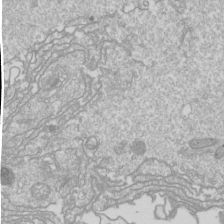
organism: Drosophila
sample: Cell division; meiosis; drosophila spermatocytes